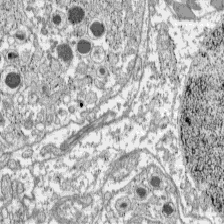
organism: C57BL Mouse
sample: Pancreatic islet